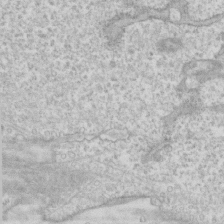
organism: Human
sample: CRL-1474